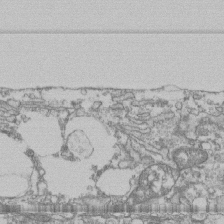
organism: Human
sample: Fibroblast cells